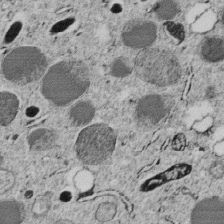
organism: C. elegans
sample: C. elegans embryo early stage